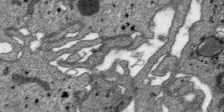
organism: Human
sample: Lung epithelial cells, uninfected (mock) control